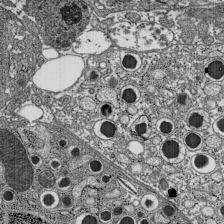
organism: C57BL Mouse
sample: Pancreatic islet